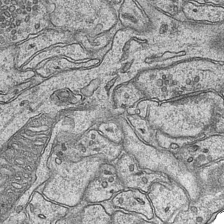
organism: Mouse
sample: CA1 Hippocampus